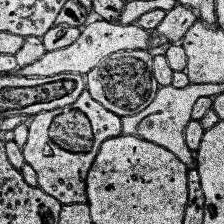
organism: Human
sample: Temporal Lobe